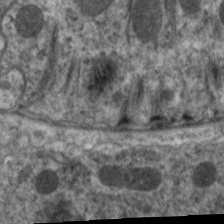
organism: C. elegans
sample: Pharynx